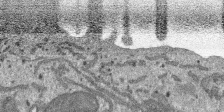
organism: Human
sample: Lung epithelial cells infected with SARS-CoV-2